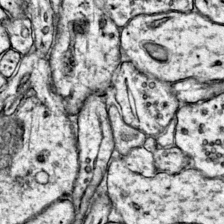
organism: Mouse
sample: Primary visual cortex